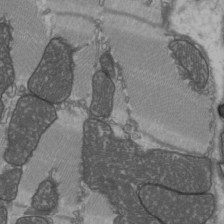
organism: C57BL Mouse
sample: Heart